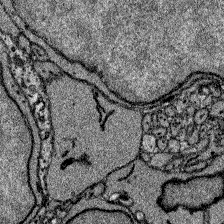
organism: Zebrafish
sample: Larval olfactory bulb